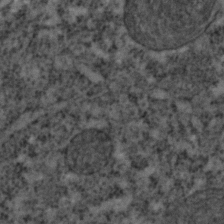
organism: C. elegans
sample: C. elegans embryo